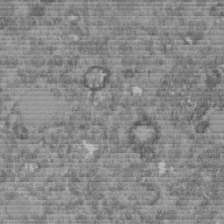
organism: C. elegans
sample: C. elegans embryo early stage